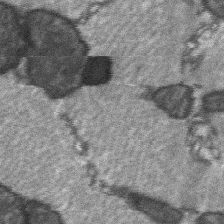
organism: C57BL Mouse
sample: Soleus